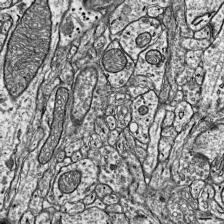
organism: Mouse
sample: Visual Cortex